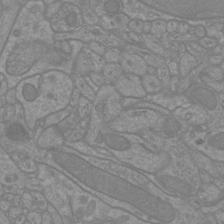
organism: Mouse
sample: Cortical neurons